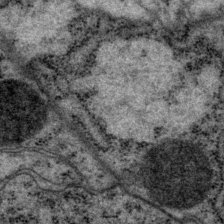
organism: P. pacificus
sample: Pharynx